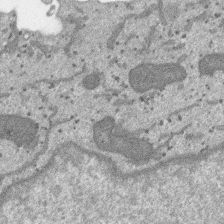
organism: Human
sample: Lung epithelial cells infected with SARS-CoV-2